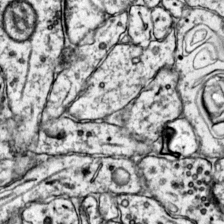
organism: Mouse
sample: Primary visual cortex